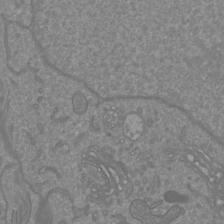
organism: Mouse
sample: Cortical neurons